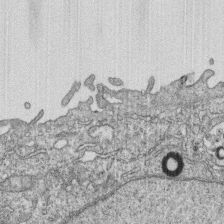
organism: Human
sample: HeLa cell HIV synapse